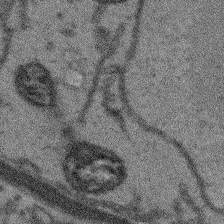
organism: Arabidopsis thaliana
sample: Root tip